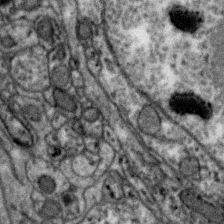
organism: Zebra finch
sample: Brain